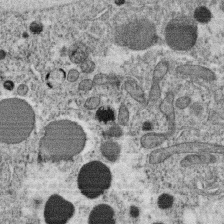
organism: C. elegans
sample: C. elegans oocyte; sperm cells